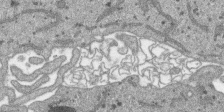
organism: Human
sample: Lung epithelial cells infected with SARS-CoV-2